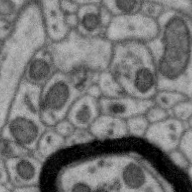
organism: Zebra finch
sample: Brain